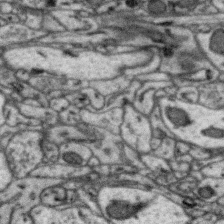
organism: Zebra finch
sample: Brain